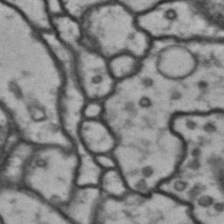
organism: Drosophila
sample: Brain